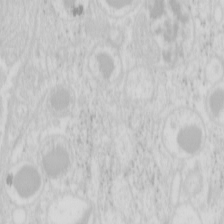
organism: Mouse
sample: Pancreas